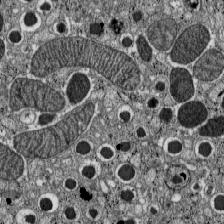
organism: C57BL Mouse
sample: Pancreatic islet